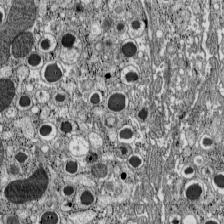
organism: C57BL Mouse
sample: Pancreatic islet